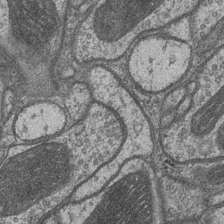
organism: Drosophila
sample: Optic medulla